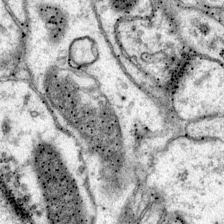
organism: Mouse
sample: Primary visual cortex